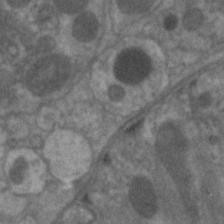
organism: C. elegans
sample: Pharynx